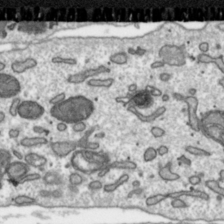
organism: Toxoplasma gondii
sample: Parasites in a vacuole inside a host cell